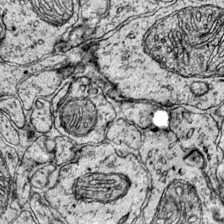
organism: Mouse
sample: Primary visual cortex